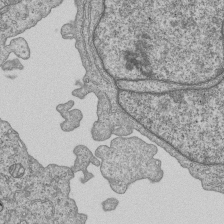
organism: Human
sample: MDA-MB-231 cells